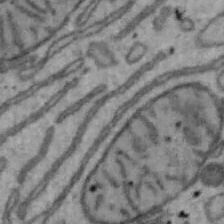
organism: Mouse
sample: Liver